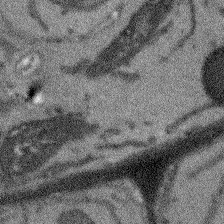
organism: Arabidopsis thaliana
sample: Root tip